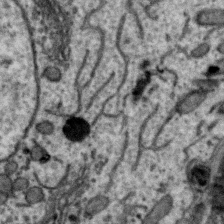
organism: Zebra finch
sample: Brain